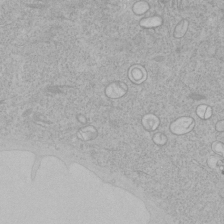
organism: Human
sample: Mitochondria in HCT116 cells